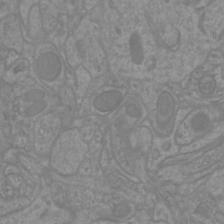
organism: Mouse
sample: Cortical neurons